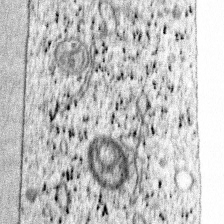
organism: Human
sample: HeLa cells